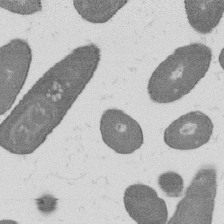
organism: B. subtilis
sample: Bacterial spore